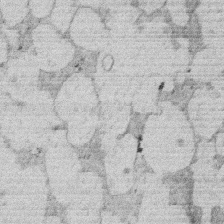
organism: Rat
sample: Salivary granule